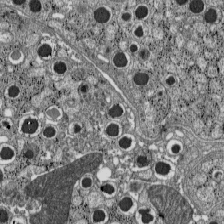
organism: C57BL Mouse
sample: Pancreatic islet